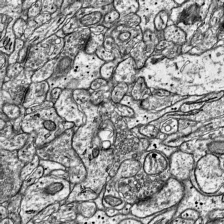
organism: Mouse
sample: Visual Cortex